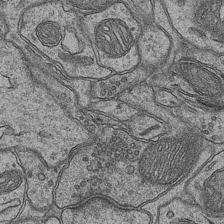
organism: Mouse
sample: CA1 Hippocampus